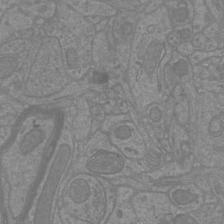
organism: Mouse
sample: Cortical neurons